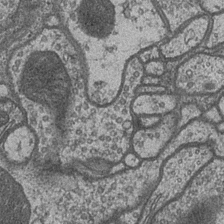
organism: Drosophila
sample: Optic medulla